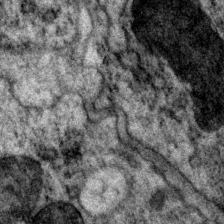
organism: P. pacificus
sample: Pharynx